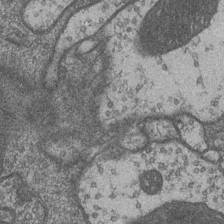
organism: Drosophila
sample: Optic medulla